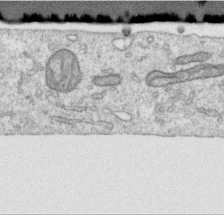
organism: Human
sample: Centriole in RPE cells